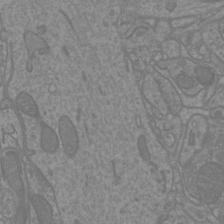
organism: Mouse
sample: Cortical neurons